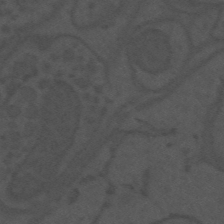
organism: Mouse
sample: Suprachiasmatic nucleus